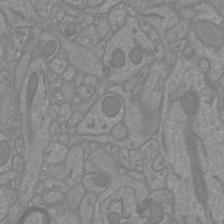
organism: Mouse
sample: Cortical neurons